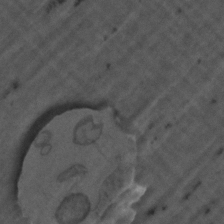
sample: Trachea